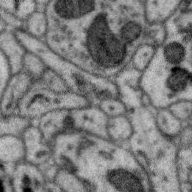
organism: Zebra finch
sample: Brain